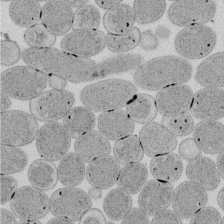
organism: E. coli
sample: Bacterial nucleoid